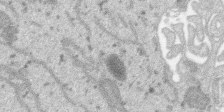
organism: Human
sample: Lung epithelial cells infected with SARS-CoV-2